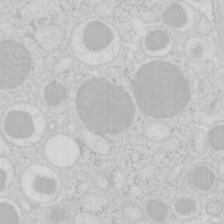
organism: Mouse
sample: Pancreas